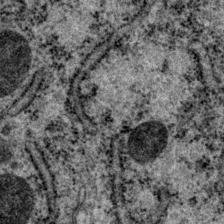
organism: P. pacificus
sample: Pharynx